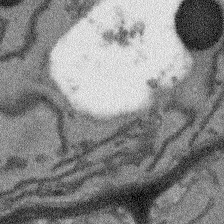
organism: Arabidopsis thaliana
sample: Root tip